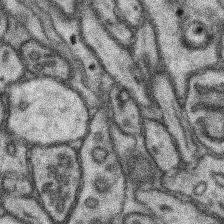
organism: Mouse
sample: Somatosensory cortex neuropil